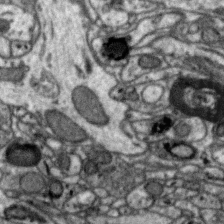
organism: Zebra finch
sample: Brain